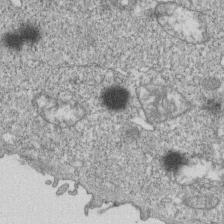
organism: Human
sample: HeLa cell HIV synapse